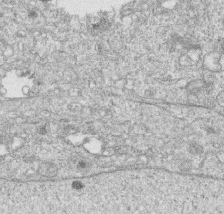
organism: Human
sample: HeLa cell HIV synapse